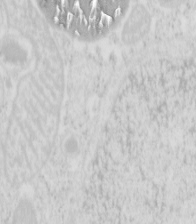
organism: Mouse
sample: Pancreas